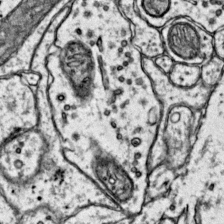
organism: Mouse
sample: Primary visual cortex